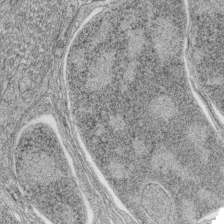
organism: Zebrafish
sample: synaptic ribbons in rod cells and cone cells